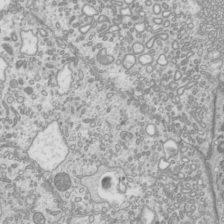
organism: Mouse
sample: Cilia; mouse epididymis